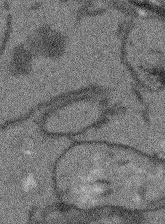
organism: Arabidopsis thaliana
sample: Root tip